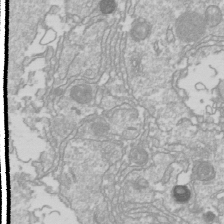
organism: Drosophila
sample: Cell division; meiosis; drosophila spermatocytes